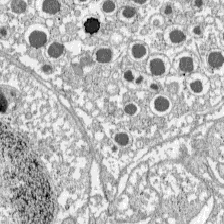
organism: C57BL Mouse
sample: Pancreatic islet